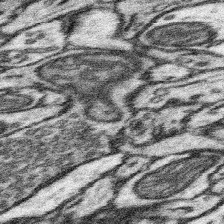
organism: Mouse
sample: Somatosensory cortex neuropil